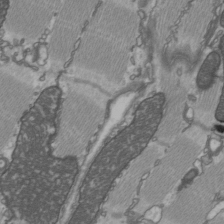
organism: C57BL Mouse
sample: Heart